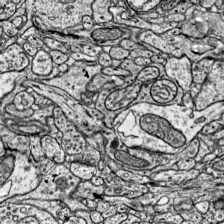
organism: Mouse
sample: Visual Cortex